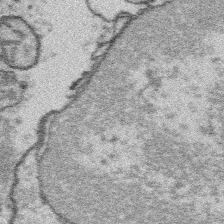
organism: Platynereis dumerilii